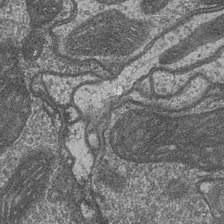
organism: Drosophila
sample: Optic medulla